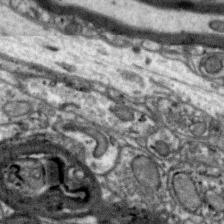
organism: Zebra finch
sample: Brain